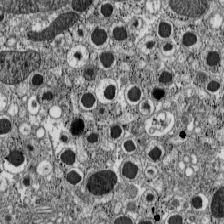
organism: C57BL Mouse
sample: Pancreatic islet